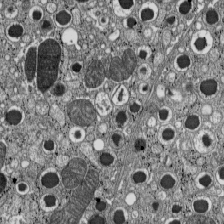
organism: C57BL Mouse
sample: Pancreatic islet